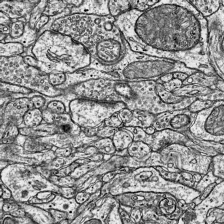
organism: Mouse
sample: Visual Cortex